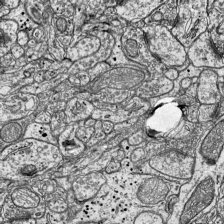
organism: Mouse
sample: Visual Cortex